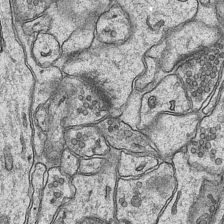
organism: Mouse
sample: CA1 Hippocampus